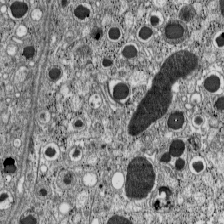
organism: C57BL Mouse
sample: Pancreatic islet